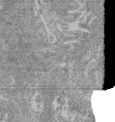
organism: Mouse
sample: Glomerulus